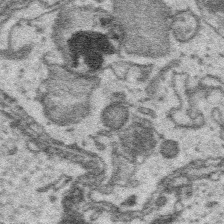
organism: Platynereis dumerilii